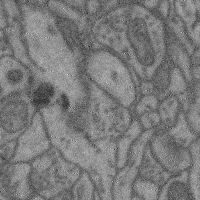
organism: Mouse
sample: Cerebral cortex